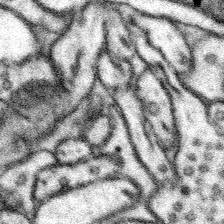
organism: Mouse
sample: Somatosensory cortex neuropil